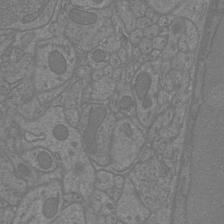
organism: Mouse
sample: Cortical neurons